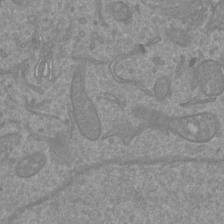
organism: Mouse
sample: Cortical neurons